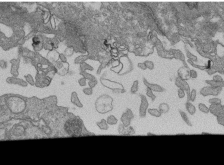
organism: Human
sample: Retinal organoid Rod and Cone cells